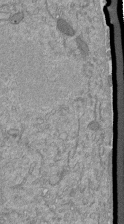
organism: Mouse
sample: ED-1 cell nuclei; centrioles